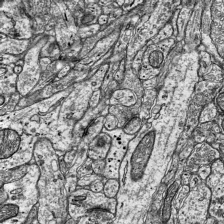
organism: Mouse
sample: Visual Cortex